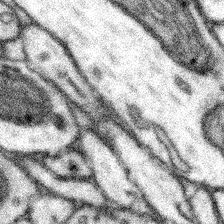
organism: Mouse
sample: Somatosensory cortex neuropil